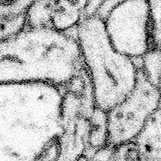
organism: Mouse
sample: Somatosensory cortex neuropil